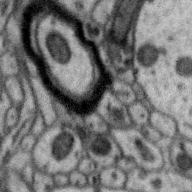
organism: Zebra finch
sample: Brain